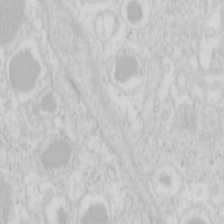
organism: Mouse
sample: Pancreas